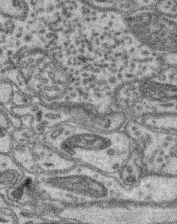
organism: Mouse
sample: Retina